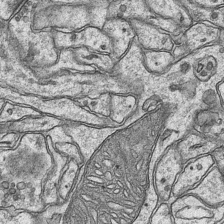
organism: Mouse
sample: CA1 Hippocampus